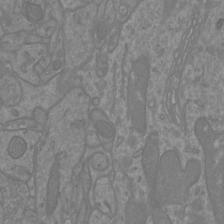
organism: Mouse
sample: Cortical neurons